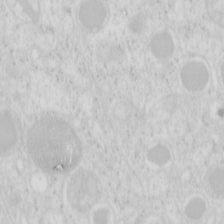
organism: Mouse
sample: Pancreas